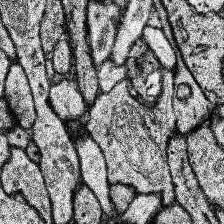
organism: Human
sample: Temporal Lobe